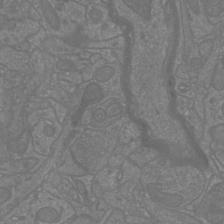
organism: Mouse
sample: Cortical neurons